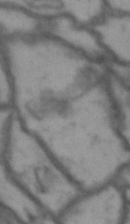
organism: Drosophila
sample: Brain